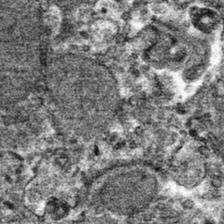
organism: Mouse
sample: Mouse hepatocytes